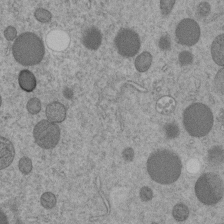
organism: C. elegans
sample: C. elegans embryo early stage